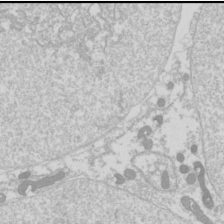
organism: Drosophila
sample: Cell division; meiosis; drosophila spermatocytes